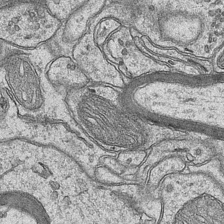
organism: Mouse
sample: CA1 Hippocampus